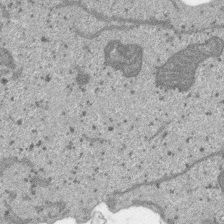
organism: Human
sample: Lung epithelial cells infected with SARS-CoV-2